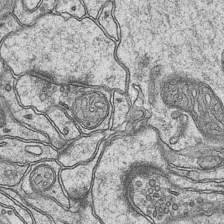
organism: Mouse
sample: CA1 Hippocampus